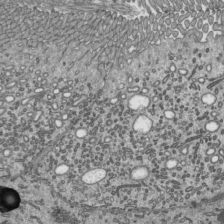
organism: Mouse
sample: Mouse epididymis efferent ductule cilia